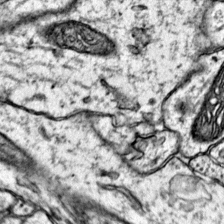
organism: Mouse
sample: Primary visual cortex